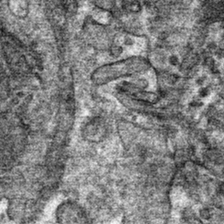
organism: Mouse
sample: Mouse hepatocytes